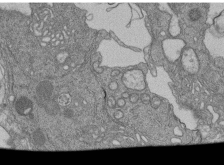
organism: Human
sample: Retinal organoid Rod and Cone cells